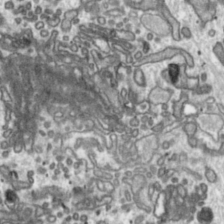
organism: Toxoplasma gondii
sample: Parasites in a vacuole inside a host cell